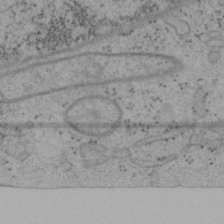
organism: Human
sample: HeLa cells